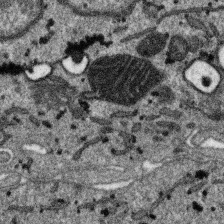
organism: Human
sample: Lung epithelial cells infected with SARS-CoV-2